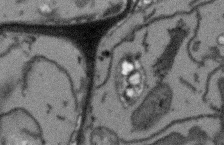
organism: Arabidopsis thaliana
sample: Root tip